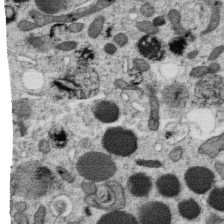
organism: C. elegans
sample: C. elegans oocyte; sperm cells